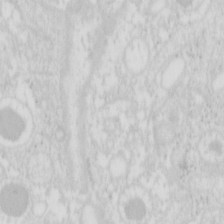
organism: Mouse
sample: Pancreas